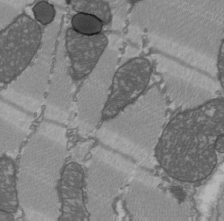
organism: C57BL Mouse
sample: Heart